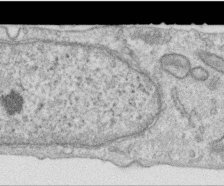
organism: Human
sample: Centriole in RPE cells